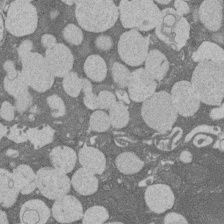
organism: Rat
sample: Salivary granule